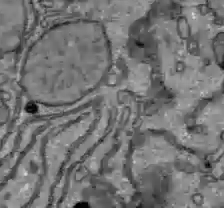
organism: C57BL Mouse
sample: Liver